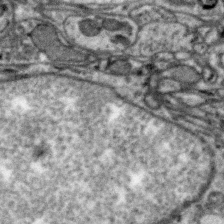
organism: Zebra finch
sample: Brain